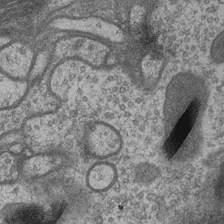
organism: Drosophila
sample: Optic medulla